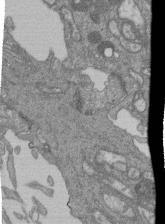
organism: Human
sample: Retinal organoid Rod and Cone cells